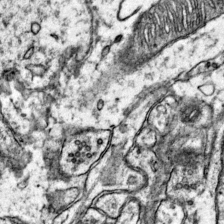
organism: Mouse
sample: Primary visual cortex